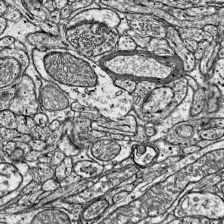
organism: Mouse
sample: Visual Cortex